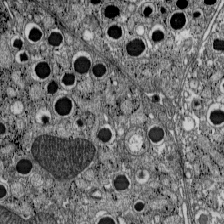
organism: C57BL Mouse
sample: Pancreatic islet